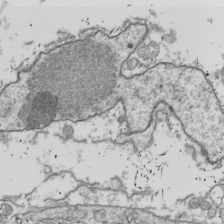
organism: Drosophila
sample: Cell division; meiosis; drosophila spermatocytes